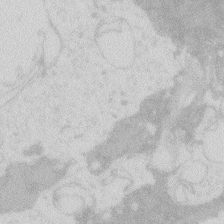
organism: Zebrafish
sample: Macrophage